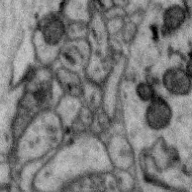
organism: Zebra finch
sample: Brain